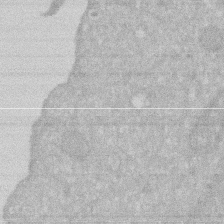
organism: Human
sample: HIV infected U937 cells